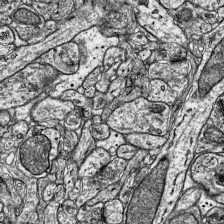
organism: Mouse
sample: Visual Cortex